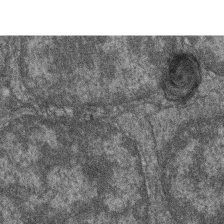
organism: Zebrafish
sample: Cilia; retinal pigment epithelium